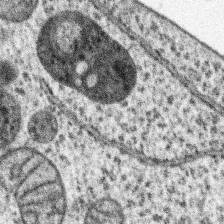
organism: Human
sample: HeLa cells